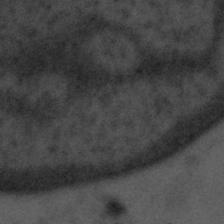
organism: Tuwongella immobilis